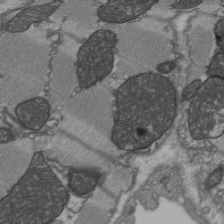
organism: C57BL Mouse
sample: Heart